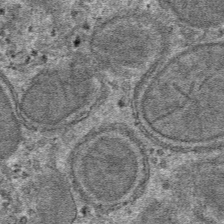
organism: Mouse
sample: Mouse hepatocytes